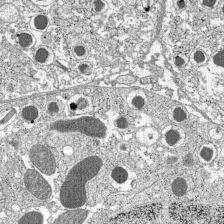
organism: C57BL Mouse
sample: Pancreatic islet